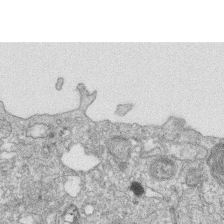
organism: Human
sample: HeLa cell HIV synapse